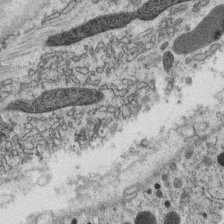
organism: C. elegans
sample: C. elegans oocyte; sperm cells